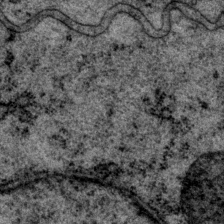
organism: P. pacificus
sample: Pharynx